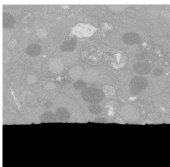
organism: C. elegans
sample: C. elegans oocyte; sperm cells